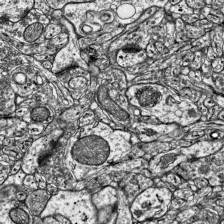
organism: Mouse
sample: Visual Cortex